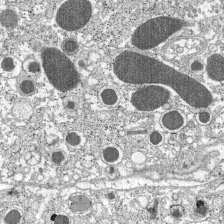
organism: C57BL Mouse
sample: Pancreatic islet